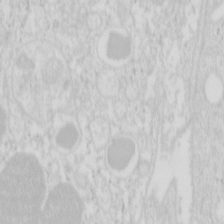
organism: Mouse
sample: Pancreas